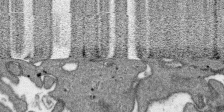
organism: Human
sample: Lung epithelial cells, uninfected (mock) control